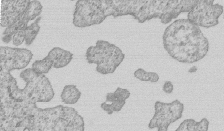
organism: Human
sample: MDA-MB-231 cells